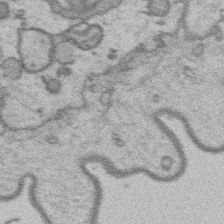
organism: Platynereis dumerilii